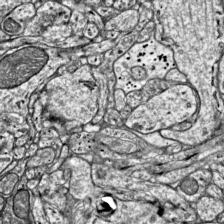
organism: Mouse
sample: Visual Cortex